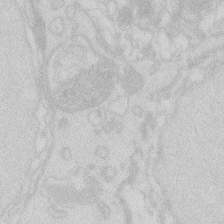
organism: Zebrafish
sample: Macrophage